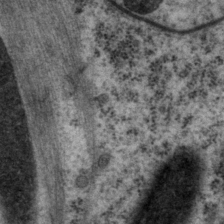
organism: P. pacificus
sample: Pharynx